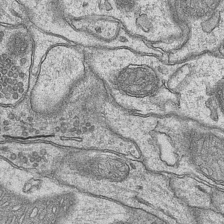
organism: Mouse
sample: CA1 Hippocampus